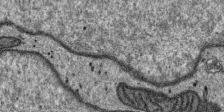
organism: Human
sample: Lung epithelial cells, uninfected (mock) control